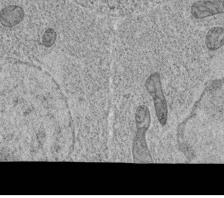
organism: C. elegans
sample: C. elegans oocyte; sperm cells